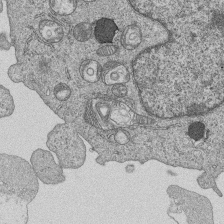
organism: Human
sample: MDA-MB-231 cells